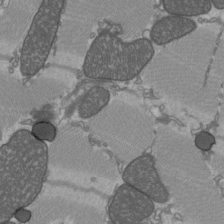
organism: C57BL Mouse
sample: Heart